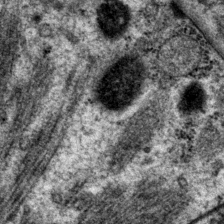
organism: P. pacificus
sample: Pharynx